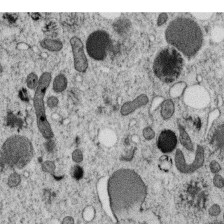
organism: C. elegans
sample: C. elegans oocyte; sperm cells